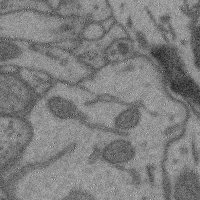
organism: Mouse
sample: Cerebral cortex